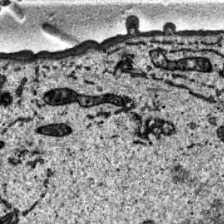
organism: Human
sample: HeLa cells